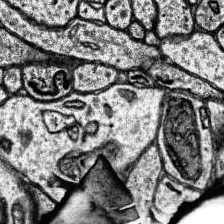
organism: Human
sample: Temporal Lobe